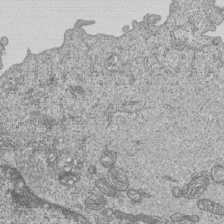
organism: Human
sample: MDA-MB-231 cells